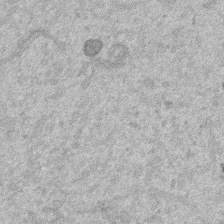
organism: Mouse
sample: Dividing mouse embryo 1 cell stage